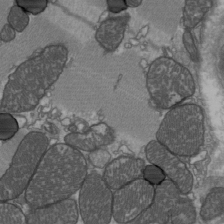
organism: C57BL Mouse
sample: Heart